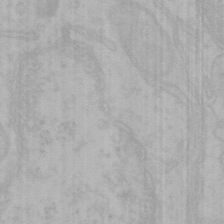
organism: Mouse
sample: Choroid plexus